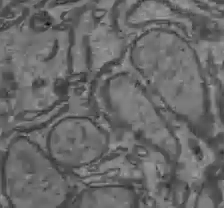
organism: C57BL Mouse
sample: Liver